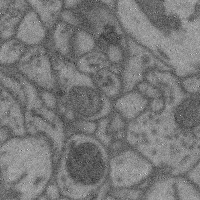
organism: Mouse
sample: Cerebral cortex